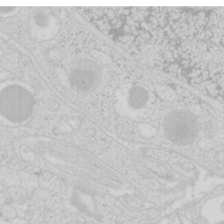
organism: Mouse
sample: Pancreas